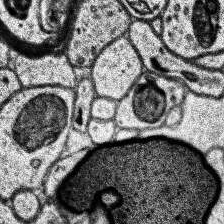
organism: Human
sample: Temporal Lobe